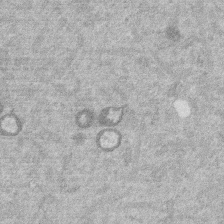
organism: Mouse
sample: Dividing mouse embryo 1 cell stage